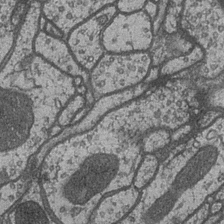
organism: Drosophila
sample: Optic medulla